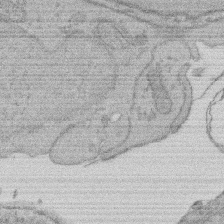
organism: Rat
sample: Salivary granule